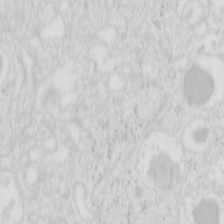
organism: Mouse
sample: Pancreas